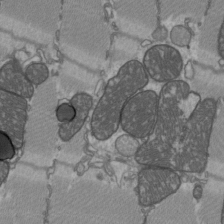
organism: C57BL Mouse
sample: Heart